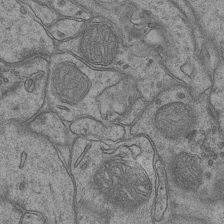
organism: Mouse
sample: CA1 Hippocampus